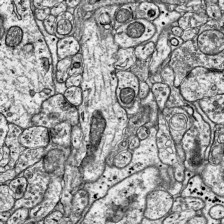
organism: Mouse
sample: Visual Cortex